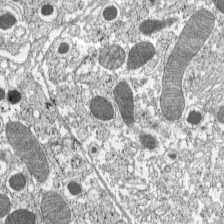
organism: C57BL Mouse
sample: Pancreatic islet